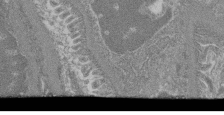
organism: Mouse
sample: Glomerulus